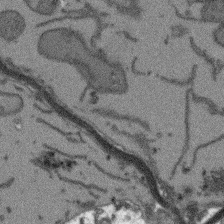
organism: Arabidopsis thaliana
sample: Root tip